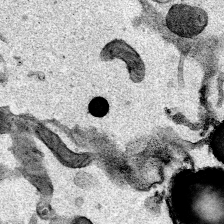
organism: Mouse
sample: Cancer cell death in ED-1 cells